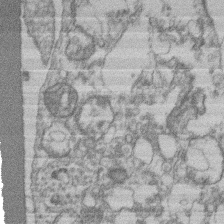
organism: Mouse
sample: T cell stromal cell synapse